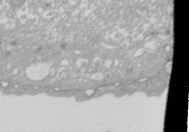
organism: Xenopus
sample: Cilia; centrioles in frog embryo cells